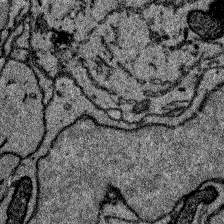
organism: Zebrafish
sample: Larval olfactory bulb